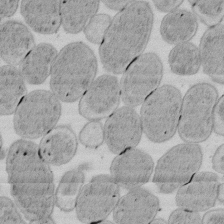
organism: E. coli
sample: Bacterial nucleoid